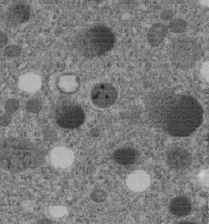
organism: C. elegans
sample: C. elegans embryo early stage